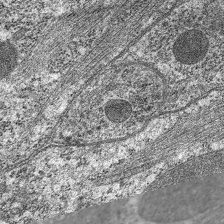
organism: C. elegans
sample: Pharynx